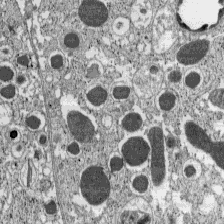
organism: C57BL Mouse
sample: Pancreatic islet